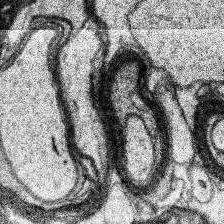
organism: Human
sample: Temporal Lobe